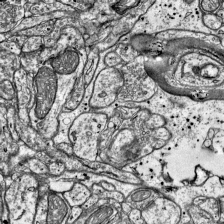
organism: Mouse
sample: Visual Cortex